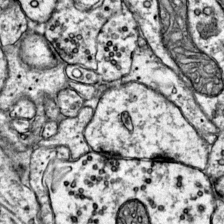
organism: Mouse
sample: Primary visual cortex